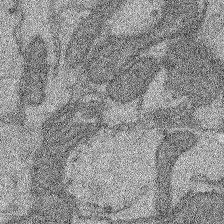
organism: Human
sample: HeLa cells